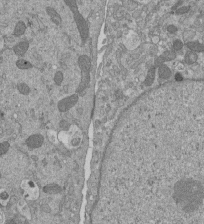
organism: Mouse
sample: ED-1 cell nuclei; centrioles